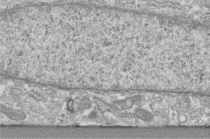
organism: Human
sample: Centriole in fibroblast cells